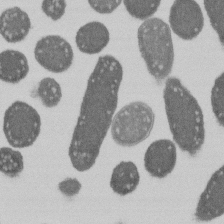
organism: E. coli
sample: Bacterial nucleoid